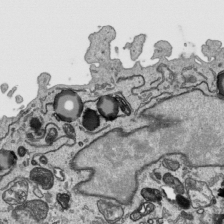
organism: Human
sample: Mitochondria in HCT116 cells